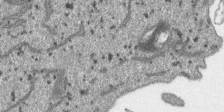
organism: Human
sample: Lung epithelial cells infected with SARS-CoV-2